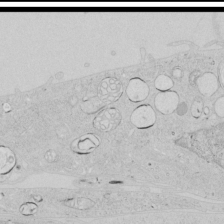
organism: Human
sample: Mitochondria in HCT116 cells